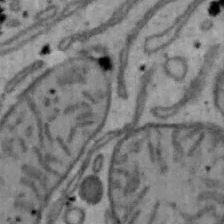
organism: Mouse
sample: Liver